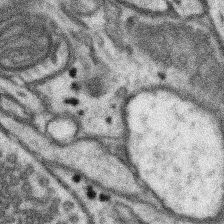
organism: Mouse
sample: Somatosensory cortex neuropil